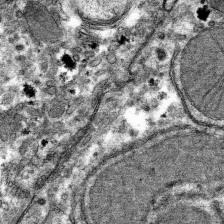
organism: Mouse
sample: Mouse hepatocytes